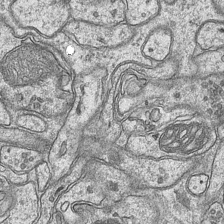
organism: Mouse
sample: CA1 Hippocampus